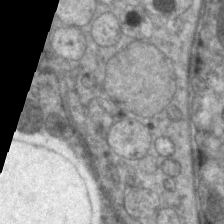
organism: C. elegans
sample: Pharynx